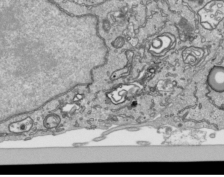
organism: Human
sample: Mitochondria in HCT116 cells